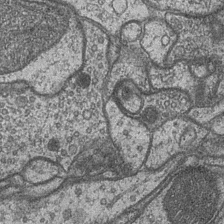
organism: Drosophila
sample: Optic medulla